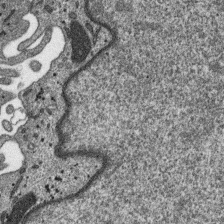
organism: Human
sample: Lung epithelial cells infected with SARS-CoV-2